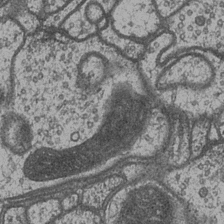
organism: Drosophila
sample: Optic medulla